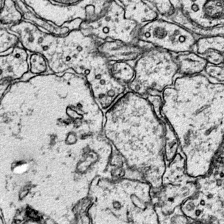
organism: Mouse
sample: Primary visual cortex